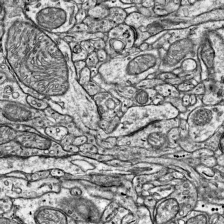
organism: Mouse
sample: Visual Cortex